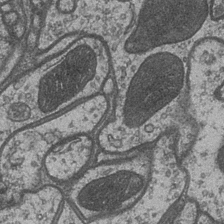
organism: Drosophila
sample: Optic medulla